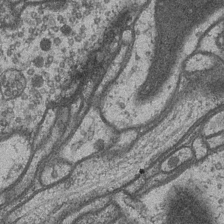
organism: Drosophila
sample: Optic medulla